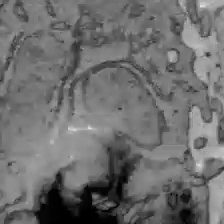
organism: C57BL Mouse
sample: Liver